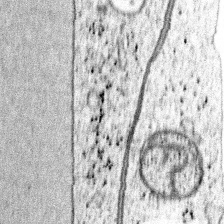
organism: Human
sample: HeLa cells